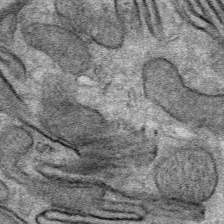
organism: Mouse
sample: Mouse Salivary gland